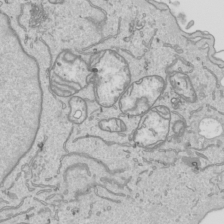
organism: Human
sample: Mitochondria in HCT116 cells